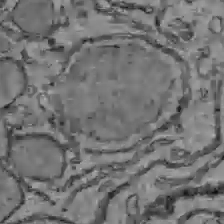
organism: C57BL Mouse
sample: Liver